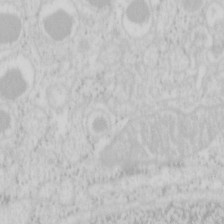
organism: Mouse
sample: Pancreas